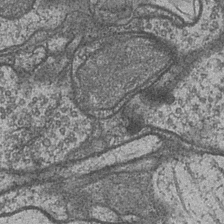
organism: Drosophila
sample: Optic medulla